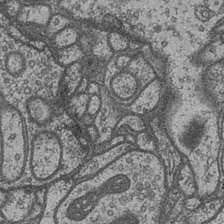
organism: Drosophila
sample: Optic medulla